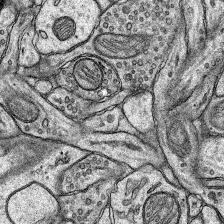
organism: Rat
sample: Hippocampus